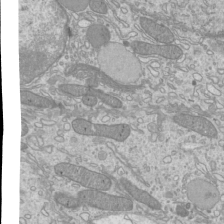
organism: Mouse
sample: Cilia; mouse epididymis